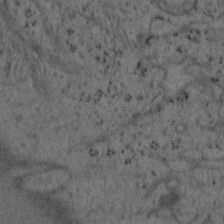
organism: Human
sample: HeLa cells